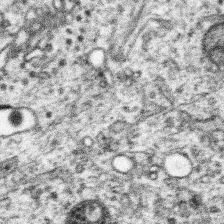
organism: Human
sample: HeLa cells